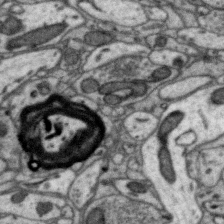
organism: Zebra finch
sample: Brain